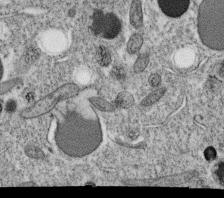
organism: C. elegans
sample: C. elegans oocyte; sperm cells